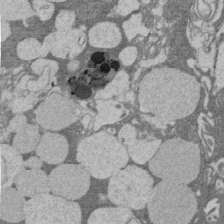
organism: Rat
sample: Salivary granule